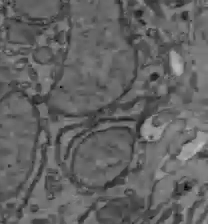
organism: C57BL Mouse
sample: Liver